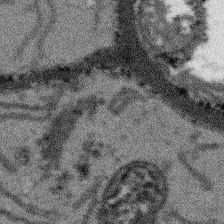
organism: Arabidopsis thaliana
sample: Root tip